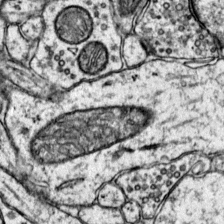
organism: Mouse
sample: Primary visual cortex